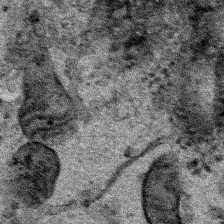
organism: Human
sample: Mitochondria in HCT116 cells